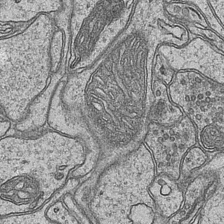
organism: Mouse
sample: CA1 Hippocampus